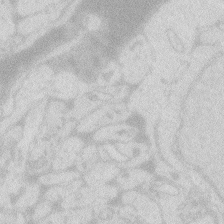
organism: Zebrafish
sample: Macrophage